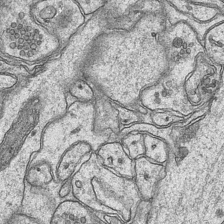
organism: Mouse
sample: CA1 Hippocampus